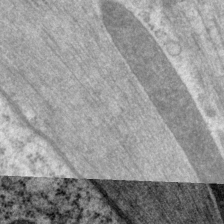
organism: P. pacificus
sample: Pharynx